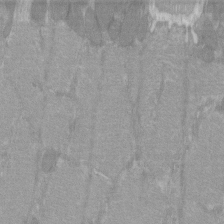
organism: C57BL Mouse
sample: Tibialis anterior muscle cell